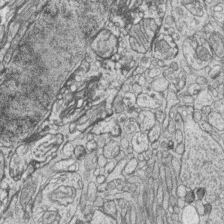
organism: Zebrafish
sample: synaptic ribbons in rod cells and cone cells